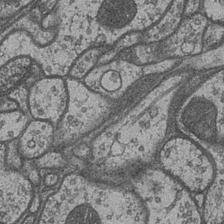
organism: Drosophila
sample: Optic medulla